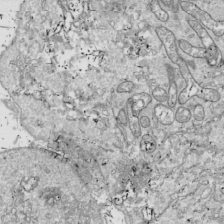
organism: Drosophila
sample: Cell division; meiosis; drosophila spermatocytes